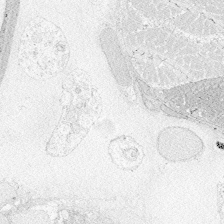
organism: Zebrafish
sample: Whole-Brain